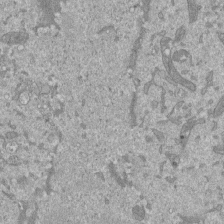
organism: Mouse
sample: ED-1 cell nuclei; centrioles